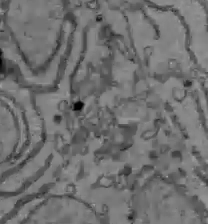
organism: C57BL Mouse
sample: Liver